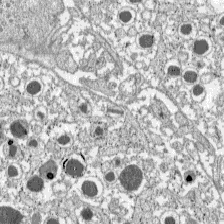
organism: C57BL Mouse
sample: Pancreatic islet